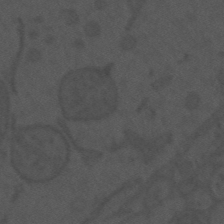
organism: Mouse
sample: Suprachiasmatic nucleus